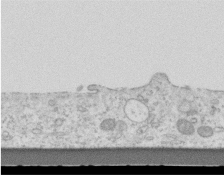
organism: Mouse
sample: Centriole in ependymal cells